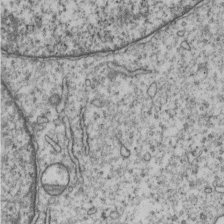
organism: Human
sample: MDA-MB-231 cells